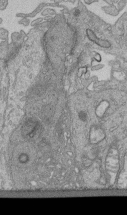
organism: Human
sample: Retinal organoid Rod and Cone cells